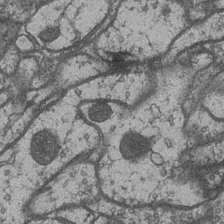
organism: Drosophila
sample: Optic medulla